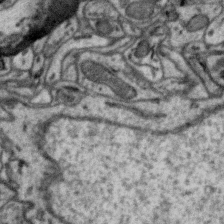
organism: Zebra finch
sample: Brain